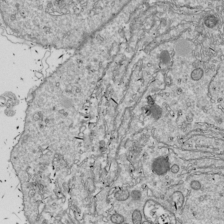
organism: Drosophila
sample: Cell division; meiosis; drosophila spermatocytes